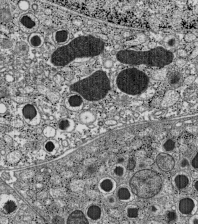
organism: C57BL Mouse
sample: Pancreatic islet